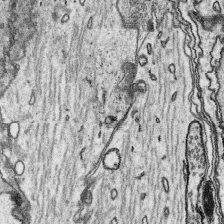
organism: Platynereis dumerilii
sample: Parapodia